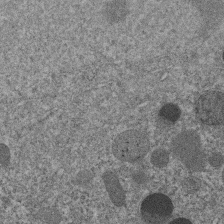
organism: C. elegans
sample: C. elegans embryo early stage